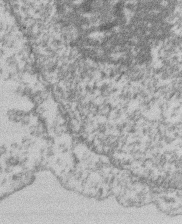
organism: Mouse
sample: T cell stromal cell synapse